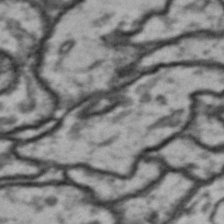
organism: Drosophila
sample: Brain